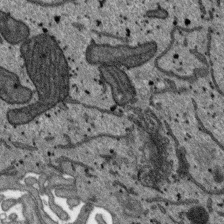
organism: Human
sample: Lung epithelial cells, uninfected (mock) control